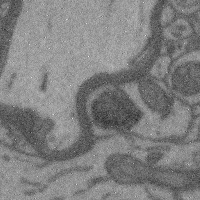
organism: Mouse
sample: Cerebral cortex